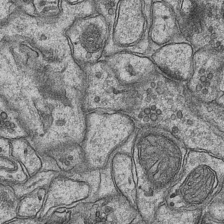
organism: Mouse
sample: CA1 Hippocampus